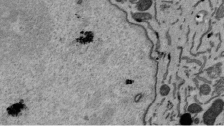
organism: Mouse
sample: ED-1 cell nuclei; centrioles